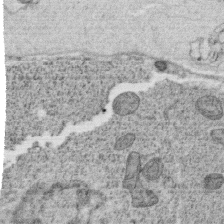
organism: C. elegans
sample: C. elegans oocyte; sperm cells